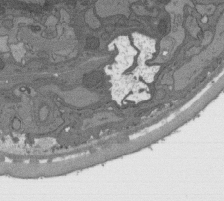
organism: C. elegans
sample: AFD neurons C. elegans